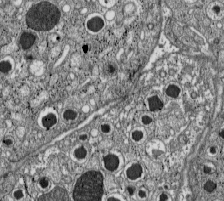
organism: C57BL Mouse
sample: Pancreatic islet